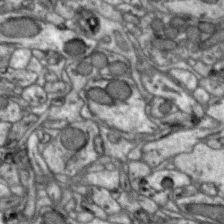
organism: Zebra finch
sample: Brain